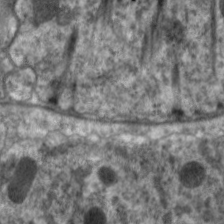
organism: C. elegans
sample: Pharynx